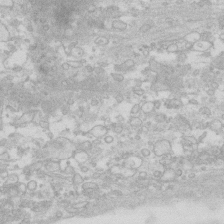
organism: Human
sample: Fibroblast cells